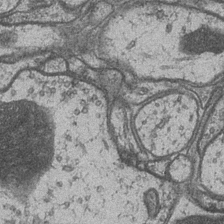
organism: Drosophila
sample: Optic medulla